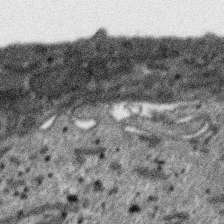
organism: Human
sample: Lung epithelial cells infected with SARS-CoV-2